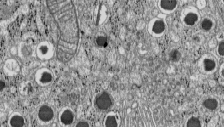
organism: C57BL Mouse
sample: Pancreatic islet